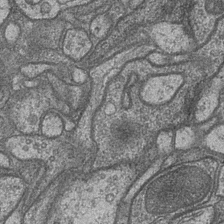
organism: Drosophila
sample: Optic medulla